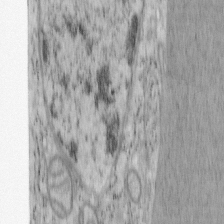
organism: Human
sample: HeLa cells